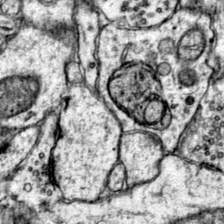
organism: Mouse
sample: Primary visual cortex